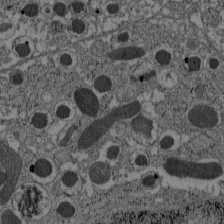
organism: C57BL Mouse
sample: Pancreatic islet